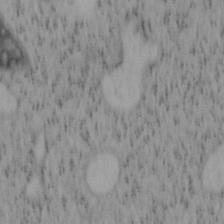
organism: Mouse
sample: OT-I killer T cells with ID8 ovarian cancer cells